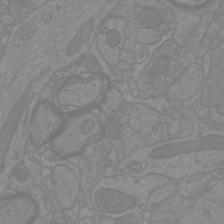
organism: Mouse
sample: Cortical neurons